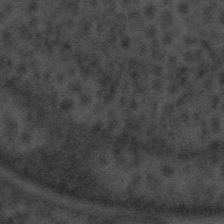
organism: Tuwongella immobilis